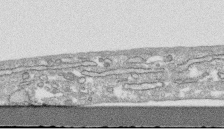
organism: Human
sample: CRL-1474